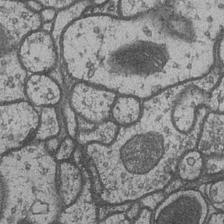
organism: Drosophila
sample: Optic medulla